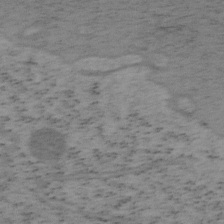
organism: Mouse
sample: OT-I killer T cells with ID8 ovarian cancer cells